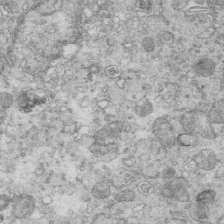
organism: Mouse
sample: Multiciliated cells